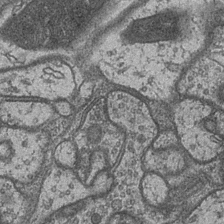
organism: Drosophila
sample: Optic medulla